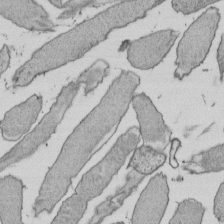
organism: E. coli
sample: Bacterial nucleoid